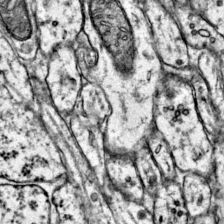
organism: Mouse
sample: Primary visual cortex